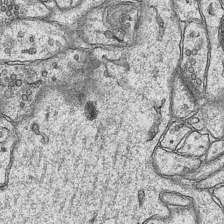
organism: Mouse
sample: CA1 Hippocampus